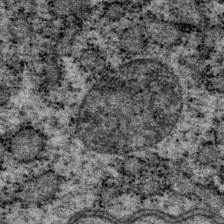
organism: P. pacificus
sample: Pharynx